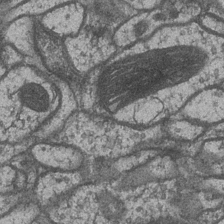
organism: Drosophila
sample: Optic medulla